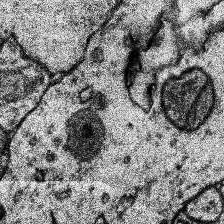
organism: Human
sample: Temporal Lobe